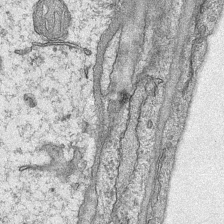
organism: Mouse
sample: CA1 Hippocampus